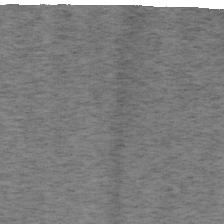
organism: Mouse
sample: OT-I killer T cells with ID8 ovarian cancer cells